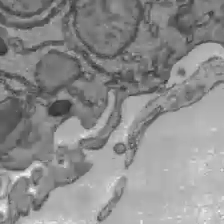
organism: C57BL Mouse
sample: Liver